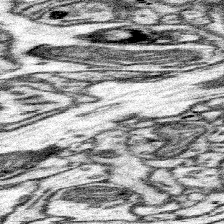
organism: Mouse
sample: Somatosensory cortex neuropil